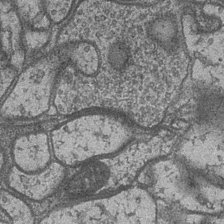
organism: Drosophila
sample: Optic medulla